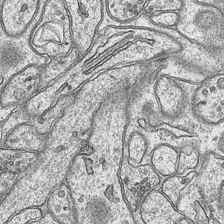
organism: Mouse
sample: CA1 Hippocampus